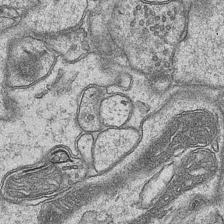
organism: Mouse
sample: CA1 Hippocampus